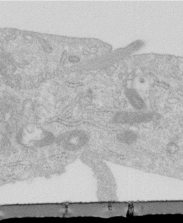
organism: Human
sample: Centriole in RPE cells